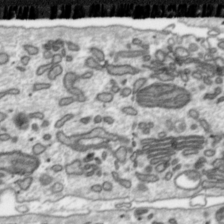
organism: Toxoplasma gondii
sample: Parasites in a vacuole inside a host cell